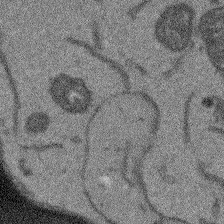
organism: Arabidopsis thaliana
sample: Root tip